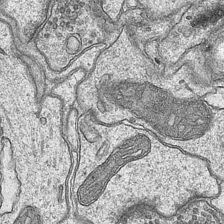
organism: Mouse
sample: CA1 Hippocampus